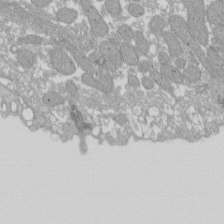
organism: Xenopus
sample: Cilia; centrioles in frog embryo cells